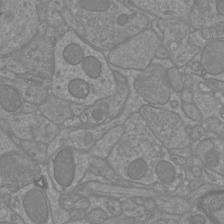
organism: Mouse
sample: Cortical neurons